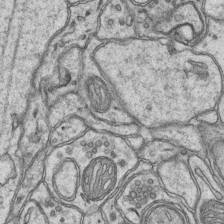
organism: Mouse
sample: CA1 Hippocampus